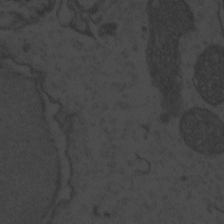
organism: Zebrafish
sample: Macrophage infected with Toxoplasma gondii